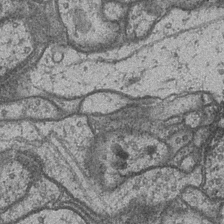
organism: Drosophila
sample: Optic medulla